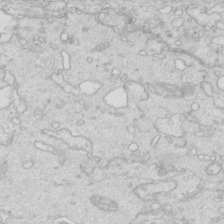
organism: Mouse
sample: Multiciliated cells